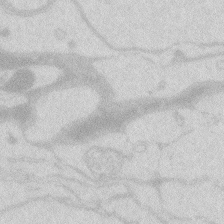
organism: Zebrafish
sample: Macrophage